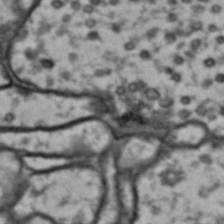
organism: Drosophila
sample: Brain